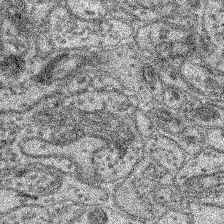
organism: Mouse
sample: Retina